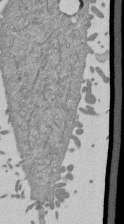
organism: Mouse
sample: ED-1 cell nuclei; centrioles